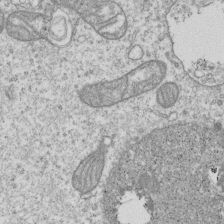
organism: Human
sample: MDA-MB-231 cells